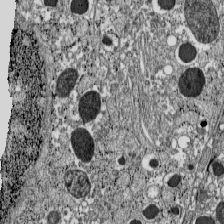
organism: C57BL Mouse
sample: Pancreatic islet